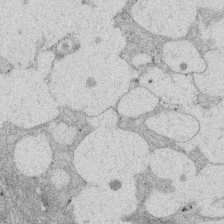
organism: Rat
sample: Salivary granule